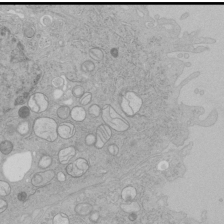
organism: Human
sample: Mitochondria in HCT116 cells